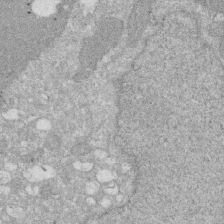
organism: Human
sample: HIV infected U937 cells